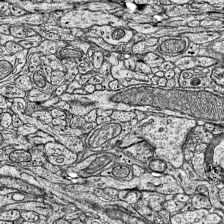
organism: Mouse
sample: Visual Cortex